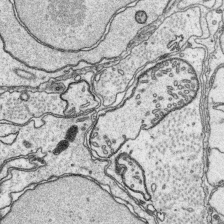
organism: Platynereis dumerilii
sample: Parapodia